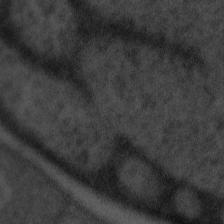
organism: Tuwongella immobilis